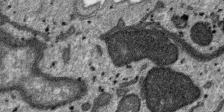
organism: Human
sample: Lung epithelial cells, uninfected (mock) control